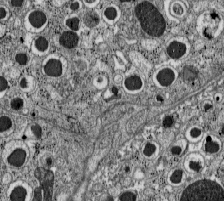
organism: C57BL Mouse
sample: Pancreatic islet